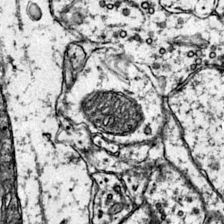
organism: Mouse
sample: Primary visual cortex